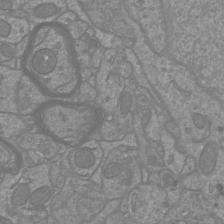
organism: Mouse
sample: Cortical neurons